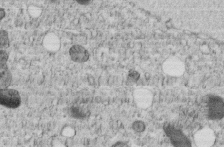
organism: C. elegans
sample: C. elegans embryo early stage